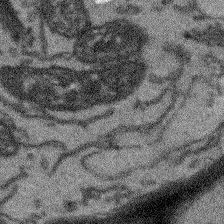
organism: Arabidopsis thaliana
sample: Root tip